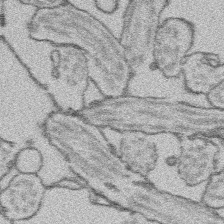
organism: Platynereis dumerilii